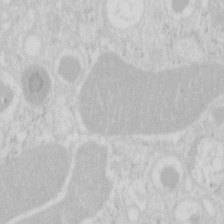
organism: Mouse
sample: Pancreas